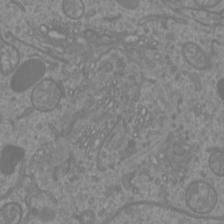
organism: Mouse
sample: Cortical neurons